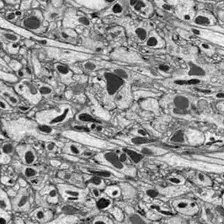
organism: Drosophila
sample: Optic lobe